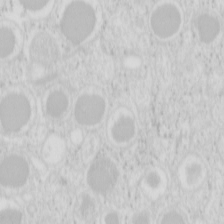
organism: Mouse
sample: Pancreas